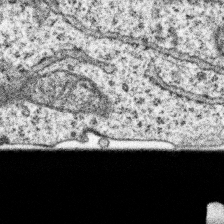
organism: Human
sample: HeLa cells